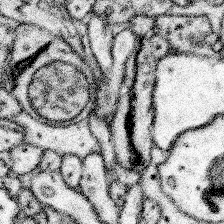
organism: Mouse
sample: Somatosensory cortex neuropil